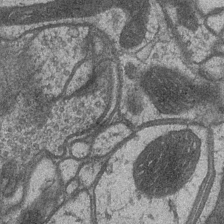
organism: Drosophila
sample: Optic medulla